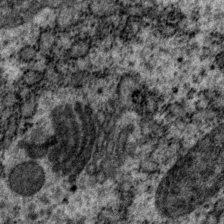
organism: P. pacificus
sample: Pharynx